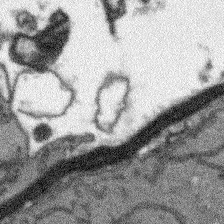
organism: Arabidopsis thaliana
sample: Root tip